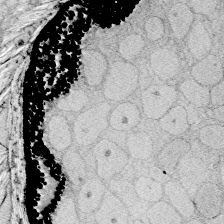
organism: Zebrafish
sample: Whole-Brain